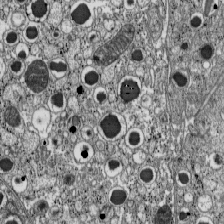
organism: C57BL Mouse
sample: Pancreatic islet